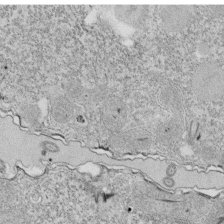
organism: Tetrahymena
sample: Cilia in tetrahymena